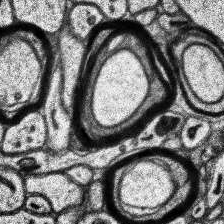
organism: Human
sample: Temporal Lobe